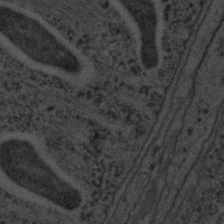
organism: C. elegans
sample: C. elegans embryo